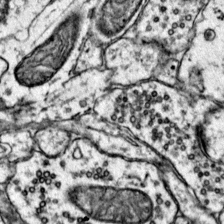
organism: Mouse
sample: Primary visual cortex